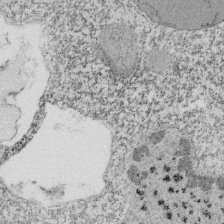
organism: Tetrahymena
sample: Cilia in tetrahymena